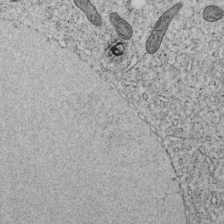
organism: C. elegans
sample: C. elegans embryo early stage